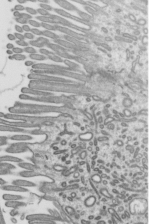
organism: Mouse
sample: Mouse epididymis efferent ductule cilia